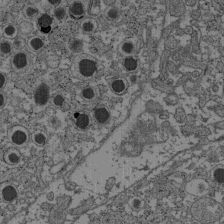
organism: C57BL Mouse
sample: Pancreatic islet